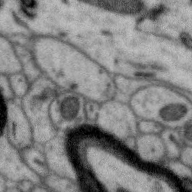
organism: Zebra finch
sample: Brain